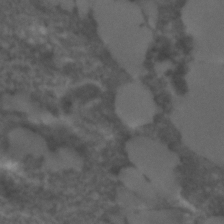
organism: C. elegans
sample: C. elegans embryo